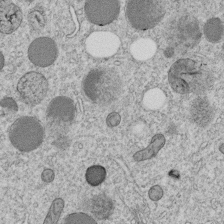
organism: C. elegans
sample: C. elegans embryo early stage